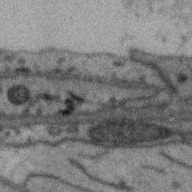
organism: Zebra finch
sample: Brain